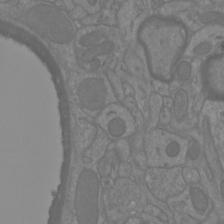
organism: Mouse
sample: Cortical neurons